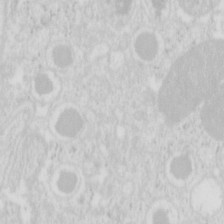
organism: Mouse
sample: Pancreas